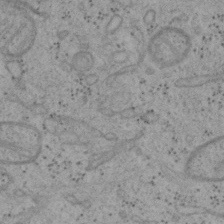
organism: Human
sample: HeLa cells